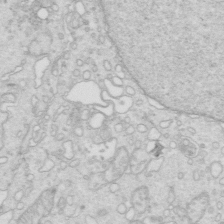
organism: Mouse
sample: Multiciliated cells